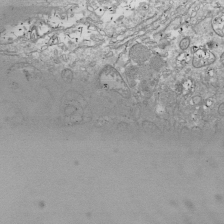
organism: Drosophila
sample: Cell division; meiosis; drosophila spermatocytes